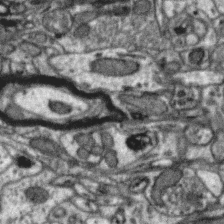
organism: Zebra finch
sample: Brain